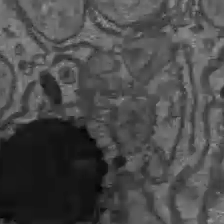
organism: C57BL Mouse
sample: Liver